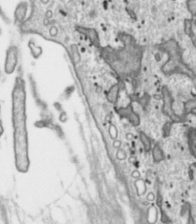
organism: Toxoplasma gondii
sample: Parasites in a vacuole inside a host cell